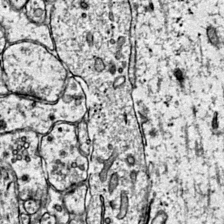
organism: Mouse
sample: Primary visual cortex